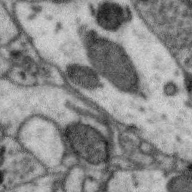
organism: Zebra finch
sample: Brain